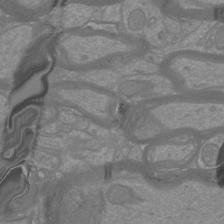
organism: Mouse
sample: Cortical neurons